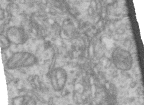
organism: Human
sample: Centriole in RPE cells